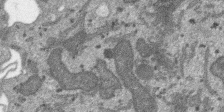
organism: Human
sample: Lung epithelial cells infected with SARS-CoV-2